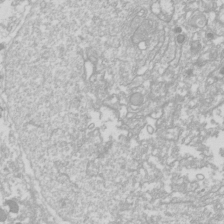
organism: Drosophila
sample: Cell division; meiosis; drosophila spermatocytes